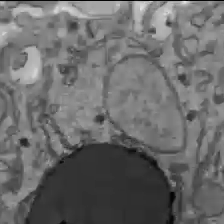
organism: C57BL Mouse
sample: Liver